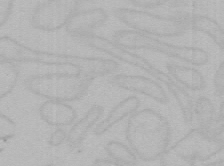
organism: Mouse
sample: Choroid plexus